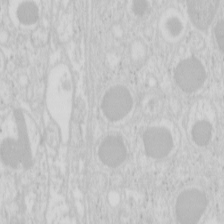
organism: Mouse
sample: Pancreas